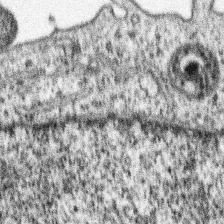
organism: Human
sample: HeLa cells